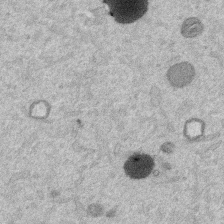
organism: Mouse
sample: Dividing mouse embryo 1 cell stage